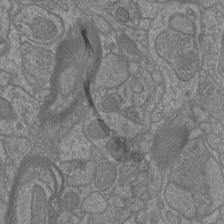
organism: Mouse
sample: Cortical neurons